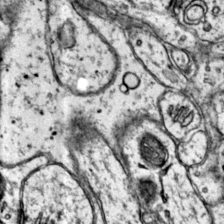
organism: Mouse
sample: Primary visual cortex